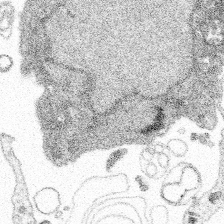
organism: Spongilla lacustris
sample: Multiple